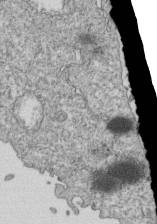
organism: Human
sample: HeLa cell HIV synapse